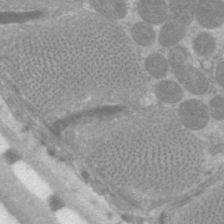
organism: C. elegans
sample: Pharynx